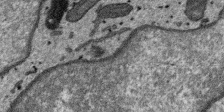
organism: Human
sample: Lung epithelial cells, uninfected (mock) control